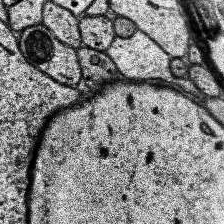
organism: Human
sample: Temporal Lobe